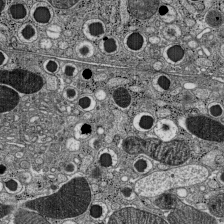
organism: C57BL Mouse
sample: Pancreatic islet